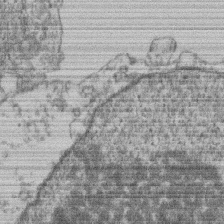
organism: Mouse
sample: T cell stromal cell synapse